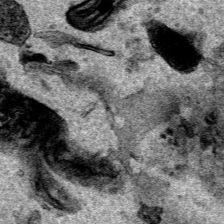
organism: Human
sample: Mitochondria in HCT116 cells